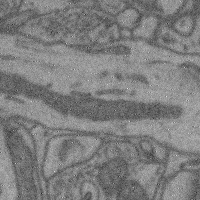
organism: Mouse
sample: Cerebral cortex